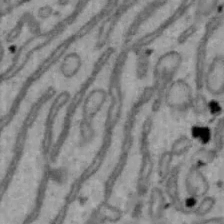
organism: Mouse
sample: Liver